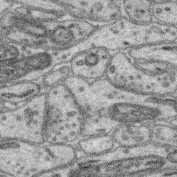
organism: Mouse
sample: Retina